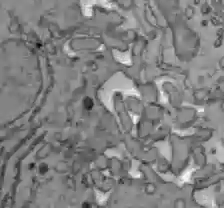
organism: C57BL Mouse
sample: Liver